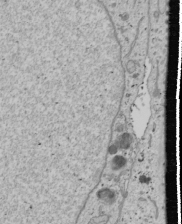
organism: Human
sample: Mitochondria in U2OS cells